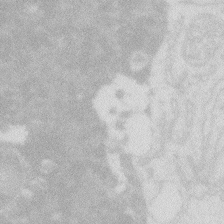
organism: Zebrafish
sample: Macrophage